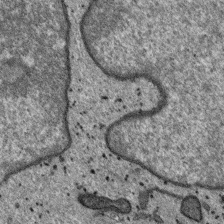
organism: Human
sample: Lung epithelial cells, uninfected (mock) control